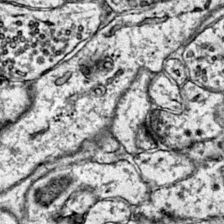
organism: Mouse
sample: Primary visual cortex